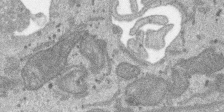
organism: Human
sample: Lung epithelial cells infected with SARS-CoV-2